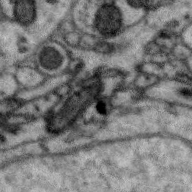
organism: Zebra finch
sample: Brain